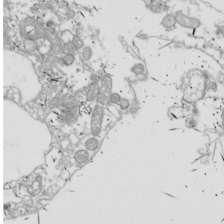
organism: Drosophila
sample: Cell division; meiosis; drosophila spermatocytes